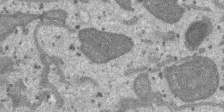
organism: Human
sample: Lung epithelial cells infected with SARS-CoV-2